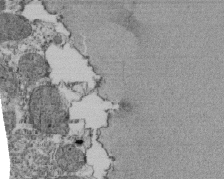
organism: Tetrahymena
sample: Cilia in tetrahymena